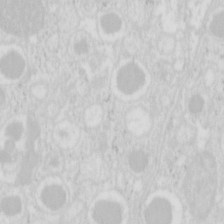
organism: Mouse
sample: Pancreas